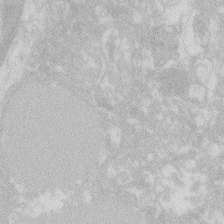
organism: Zebrafish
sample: Macrophage